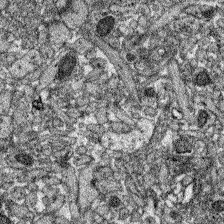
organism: Zebrafish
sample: Larval olfactory bulb